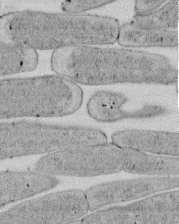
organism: E. coli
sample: Bacterial nucleoid